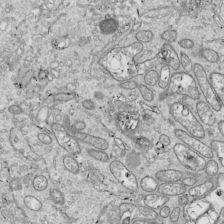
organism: Drosophila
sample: Cell division; meiosis; drosophila spermatocytes